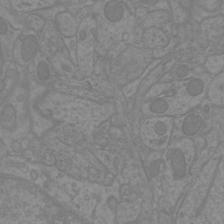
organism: Mouse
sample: Cortical neurons